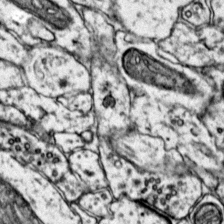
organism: Mouse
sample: Primary visual cortex